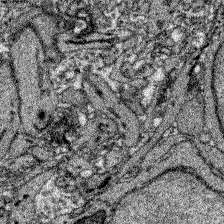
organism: Zebrafish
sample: Larval olfactory bulb